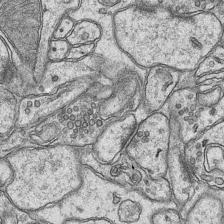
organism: Mouse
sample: CA1 Hippocampus